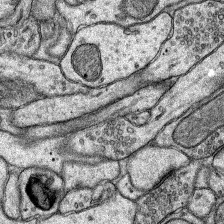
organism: Rat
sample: Hippocampus